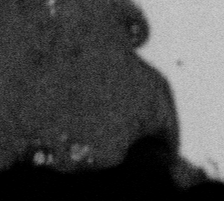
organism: Gemmata obscuriglobus